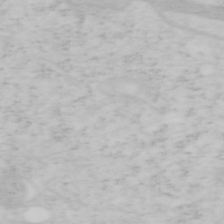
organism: Mouse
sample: OT-I killer T cells with ID8 ovarian cancer cells